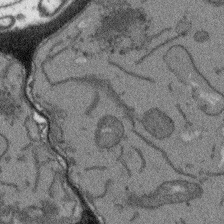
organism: Arabidopsis thaliana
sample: Root tip